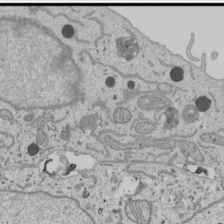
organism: Human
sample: Mitochondria in U2OS cells